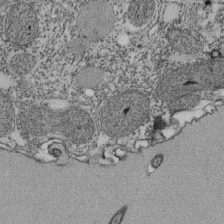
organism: Tetrahymena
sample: Cilia in tetrahymena